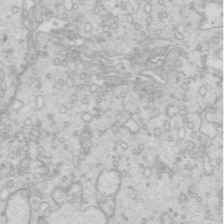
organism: Mouse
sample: Multiciliated cells